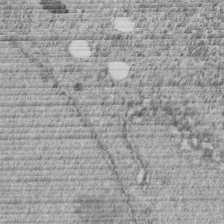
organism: C. elegans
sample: C. elegans embryo early stage